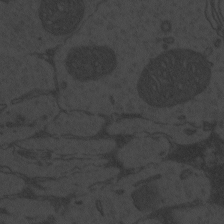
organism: Zebrafish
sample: Macrophage infected with Toxoplasma gondii